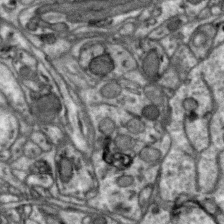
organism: Zebra finch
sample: Brain